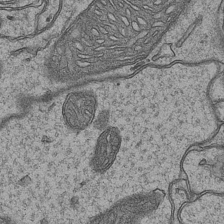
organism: Mouse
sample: CA1 Hippocampus